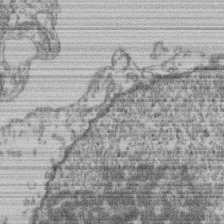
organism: Mouse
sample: T cell stromal cell synapse